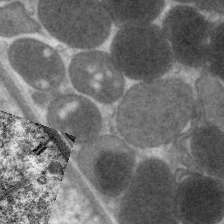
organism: C. elegans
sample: Pharynx